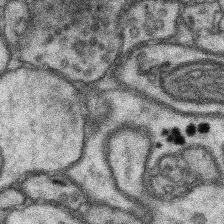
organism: Mouse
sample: Somatosensory cortex neuropil